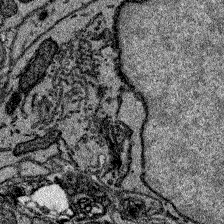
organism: Zebrafish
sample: Larval olfactory bulb